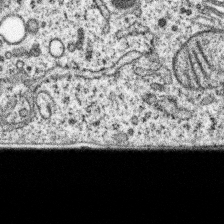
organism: Human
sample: HeLa cells